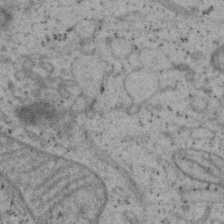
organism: Human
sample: HeLa cells